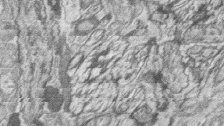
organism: Zebrafish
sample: synaptic ribbons in rod cells and cone cells